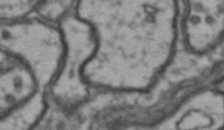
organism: Drosophila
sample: Brain